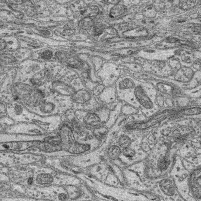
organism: Mouse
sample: Retina